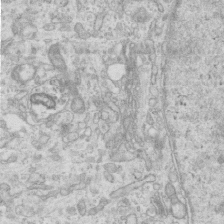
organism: Mouse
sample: Centriole in ependymal cells